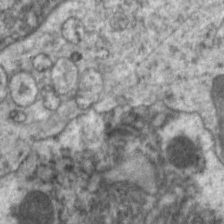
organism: C. elegans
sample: Pharynx